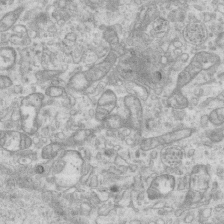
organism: Mouse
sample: Centriole in ependymal cells